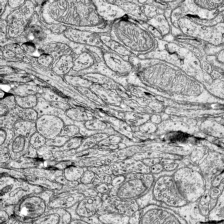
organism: Mouse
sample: Visual Cortex